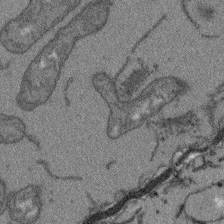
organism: Arabidopsis thaliana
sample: Root tip